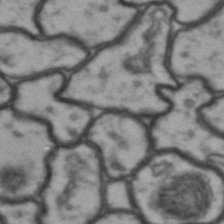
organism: Drosophila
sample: Brain